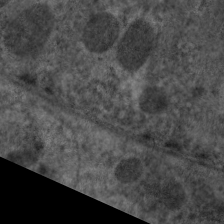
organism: C. elegans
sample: Pharynx